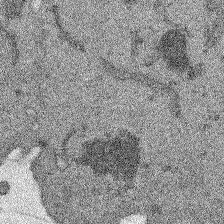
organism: Human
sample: HeLa cells